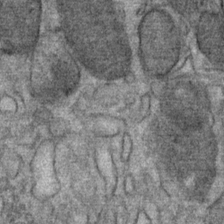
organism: Mouse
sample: Mouse Salivary gland